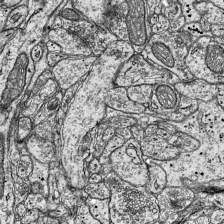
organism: Mouse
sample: Visual Cortex